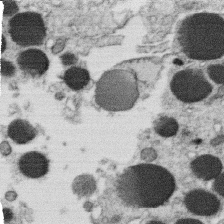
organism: C. elegans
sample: C. elegans oocyte; sperm cells